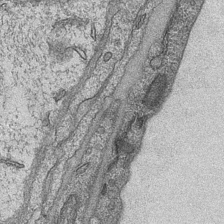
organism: Mouse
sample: CA1 Hippocampus